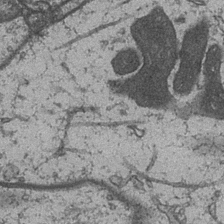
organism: Drosophila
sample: Optic medulla